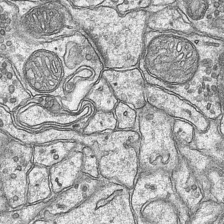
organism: Mouse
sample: CA1 Hippocampus